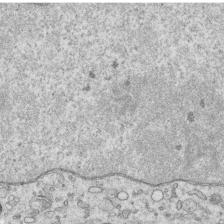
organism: Human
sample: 1205lu cells